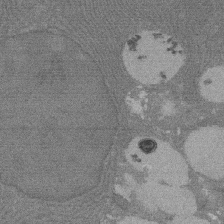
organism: Rat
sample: Salivary granule